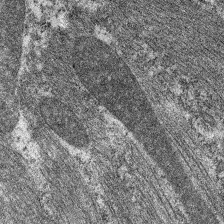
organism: C. elegans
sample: Pharynx